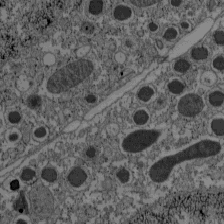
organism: C57BL Mouse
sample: Pancreatic islet